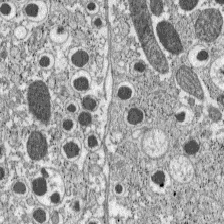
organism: C57BL Mouse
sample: Pancreatic islet